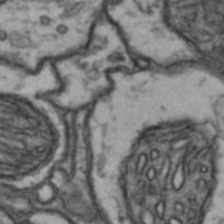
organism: Drosophila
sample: Brain